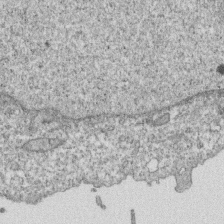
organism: Human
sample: HeLa cell HIV synapse